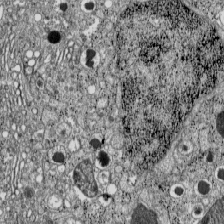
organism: C57BL Mouse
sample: Pancreatic islet